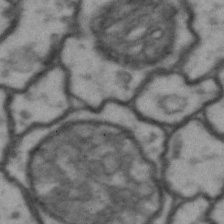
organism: Drosophila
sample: Brain